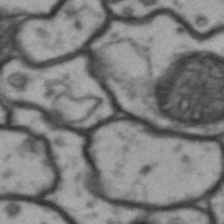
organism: Drosophila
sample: Brain